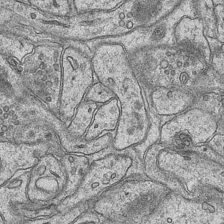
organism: Mouse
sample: CA1 Hippocampus